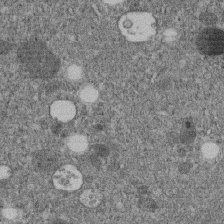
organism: C. elegans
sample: C. elegans embryo early stage